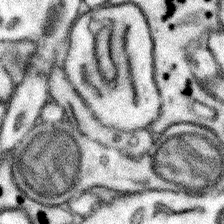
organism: Mouse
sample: Somatosensory cortex neuropil